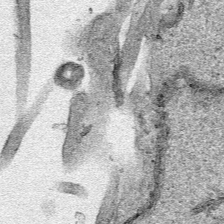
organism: Human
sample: Mitochondria in HCT116 cells